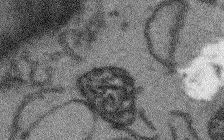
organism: Arabidopsis thaliana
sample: Root tip